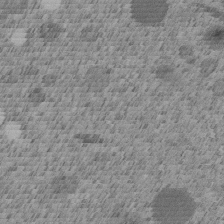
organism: C. elegans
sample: C. elegans embryo early stage